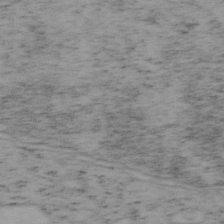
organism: Mouse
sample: OT-I killer T cells with ID8 ovarian cancer cells